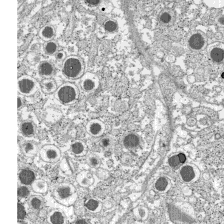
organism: C57BL Mouse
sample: Pancreatic islet